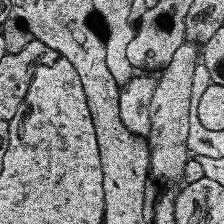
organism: Human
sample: Temporal Lobe